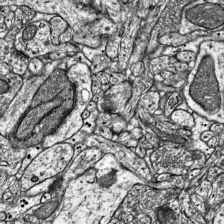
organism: Mouse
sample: Visual Cortex